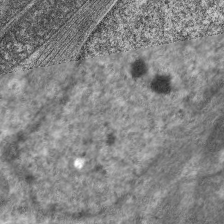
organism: C. elegans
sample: Pharynx